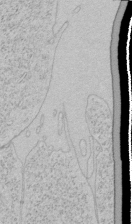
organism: Human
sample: Mitochondria in HCT116 cells